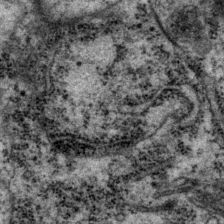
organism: P. pacificus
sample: Pharynx